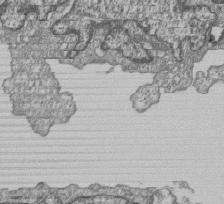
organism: Human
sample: MDA-MB-231 cells